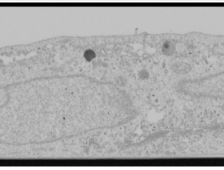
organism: Human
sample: Mitochondria in U2OS cells